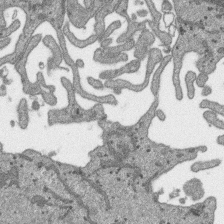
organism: Human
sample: Lung epithelial cells infected with SARS-CoV-2